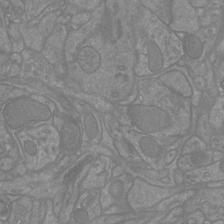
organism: Mouse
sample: Cortical neurons